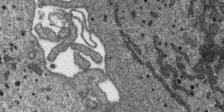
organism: Human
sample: Lung epithelial cells infected with SARS-CoV-2